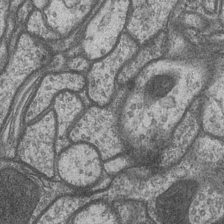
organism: Drosophila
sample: Optic medulla